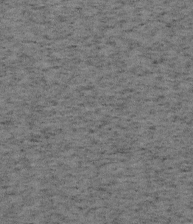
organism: Mouse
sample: OT-I killer T cells with ID8 ovarian cancer cells